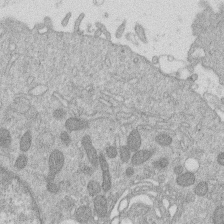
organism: Human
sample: Macrophage cells